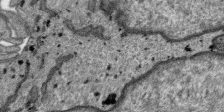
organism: Human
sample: Lung epithelial cells, uninfected (mock) control